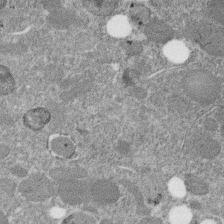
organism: C. elegans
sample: C. elegans embryo early stage